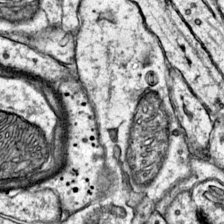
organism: Mouse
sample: Primary visual cortex